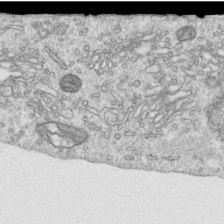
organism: Human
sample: Centriole in RPE cells